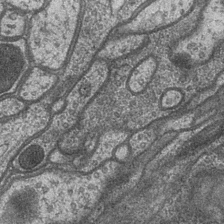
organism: Drosophila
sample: Optic medulla